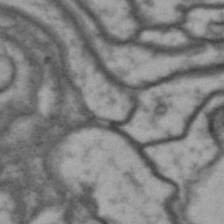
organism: Drosophila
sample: Brain